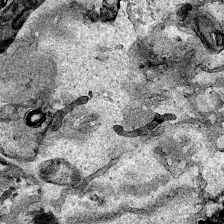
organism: Human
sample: Mitochondria in HCT116 cells